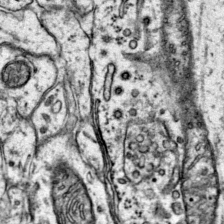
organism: Mouse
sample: Primary visual cortex